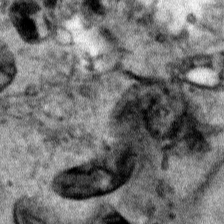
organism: Human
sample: Mitochondria in HCT116 cells